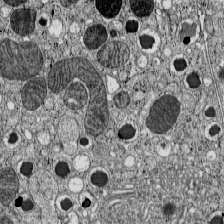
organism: C57BL Mouse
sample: Pancreatic islet